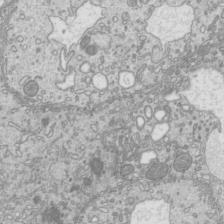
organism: Mouse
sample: Cilia; mouse epididymis